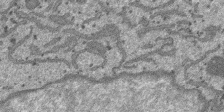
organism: Human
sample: Lung epithelial cells infected with SARS-CoV-2